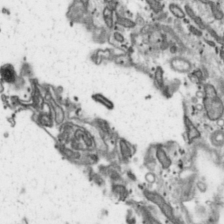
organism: Toxoplasma gondii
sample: Parasites in a vacuole inside a host cell